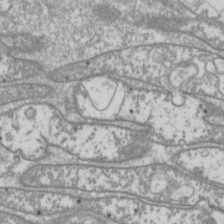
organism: Drosophila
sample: Cell division; meiosis; drosophila spermatocytes